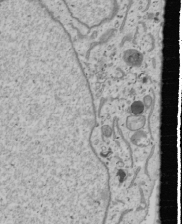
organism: Human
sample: Mitochondria in U2OS cells